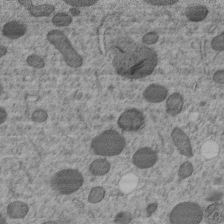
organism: C. elegans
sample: C. elegans embryo early stage